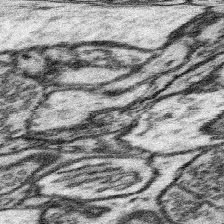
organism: Mouse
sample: Somatosensory cortex neuropil